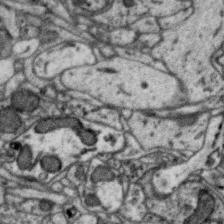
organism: Zebra finch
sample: Brain